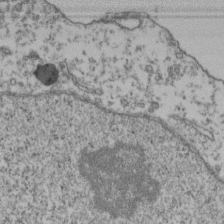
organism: Human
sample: Activated Jurkat CD4+ T cells